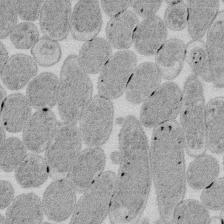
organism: E. coli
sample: Bacterial nucleoid